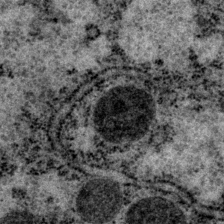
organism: P. pacificus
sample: Pharynx